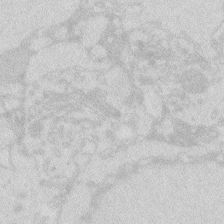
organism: Zebrafish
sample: Macrophage